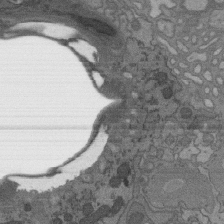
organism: C. elegans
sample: AFD neurons C. elegans